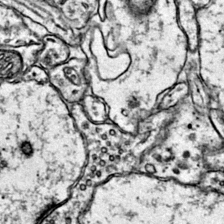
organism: Mouse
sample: Primary visual cortex